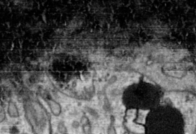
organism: Toxoplasma gondii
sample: Parasites in a vacuole inside a host cell